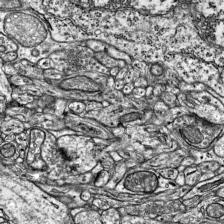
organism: Mouse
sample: Visual Cortex